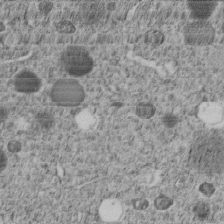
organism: C. elegans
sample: C. elegans embryo early stage